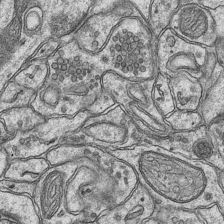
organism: Mouse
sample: CA1 Hippocampus